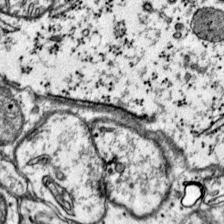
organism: Mouse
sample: Primary visual cortex